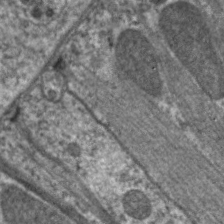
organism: C. elegans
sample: Pharynx